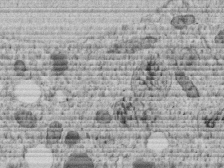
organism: C. elegans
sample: C. elegans embryo early stage